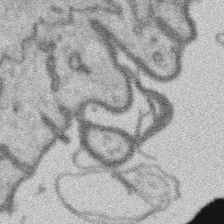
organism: Platynereis dumerilii